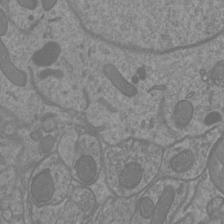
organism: Mouse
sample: Cortical neurons